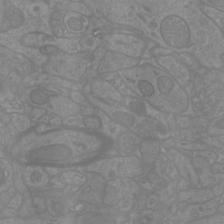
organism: Mouse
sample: Cortical neurons